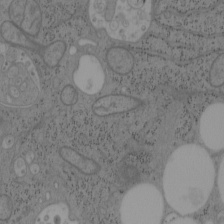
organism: Mouse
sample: OT-I killer T cells with ID8 ovarian cancer cells